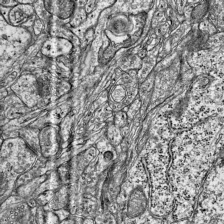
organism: Mouse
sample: Visual Cortex